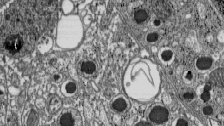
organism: C57BL Mouse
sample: Pancreatic islet